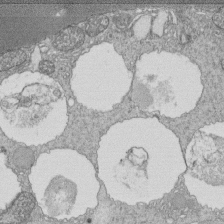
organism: Tetrahymena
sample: Cilia in tetrahymena